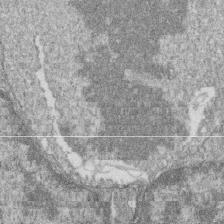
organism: Zebrafish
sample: Cilia; retinal pigment epithelium